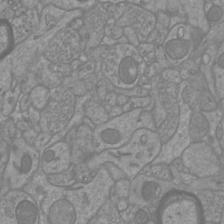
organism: Mouse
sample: Cortical neurons